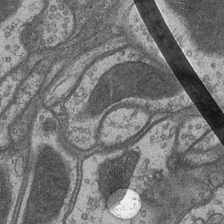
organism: Drosophila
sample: Optic medulla